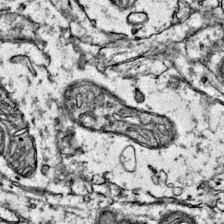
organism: Mouse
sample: Primary visual cortex